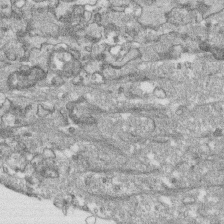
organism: Human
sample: CRL-1474